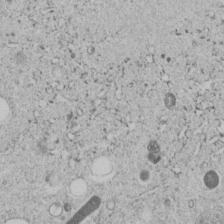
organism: C. elegans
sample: C. elegans embryo early stage